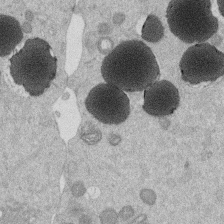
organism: Mouse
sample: Dividing mouse embryo 1 cell stage